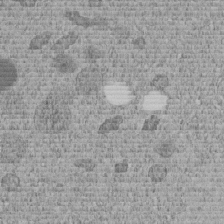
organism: C. elegans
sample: C. elegans embryo early stage